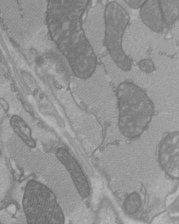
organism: C57BL Mouse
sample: Heart